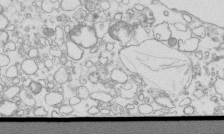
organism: Mouse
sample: Macrophages